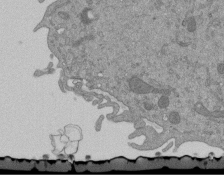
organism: Mouse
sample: ED-1 cell nuclei; centrioles